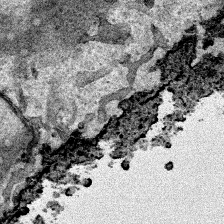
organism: Human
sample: Mitochondria in HCT116 cells